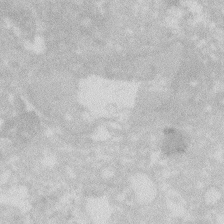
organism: Zebrafish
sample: Macrophage